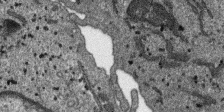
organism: Human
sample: Lung epithelial cells infected with SARS-CoV-2